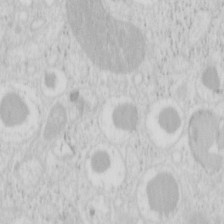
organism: Mouse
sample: Pancreas